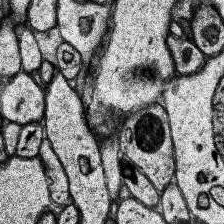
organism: Human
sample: Temporal Lobe